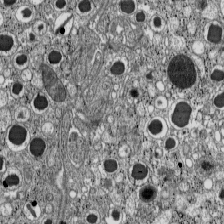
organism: C57BL Mouse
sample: Pancreatic islet